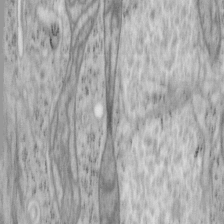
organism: Human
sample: HeLa cells